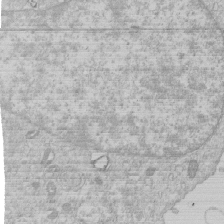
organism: Human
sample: Macrophage cells